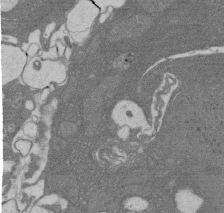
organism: Rat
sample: Salivary granule